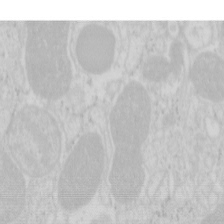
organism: Mouse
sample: Pancreas